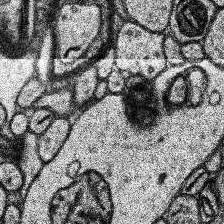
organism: Human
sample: Temporal Lobe